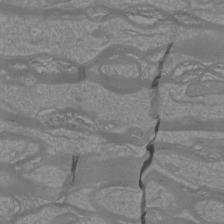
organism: Mouse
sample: Cortical neurons